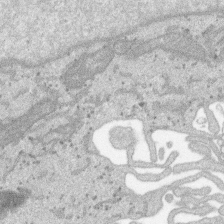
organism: Human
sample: Lung epithelial cells infected with SARS-CoV-2